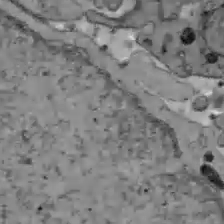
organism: C57BL Mouse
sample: Liver